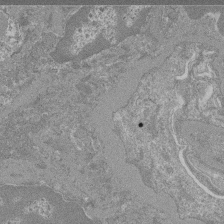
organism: Mouse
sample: Glomerulus